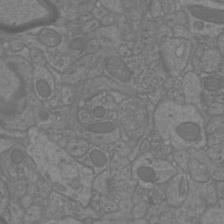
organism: Mouse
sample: Cortical neurons